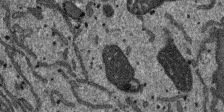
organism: Human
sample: Lung epithelial cells infected with SARS-CoV-2